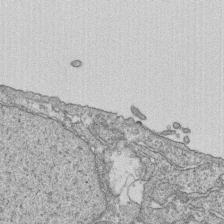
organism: Human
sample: HeLa cell HIV synapse